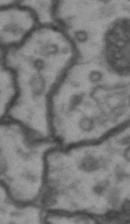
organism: Drosophila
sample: Brain